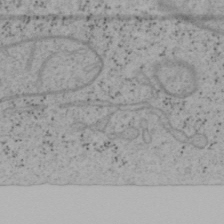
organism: Human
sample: HeLa cells